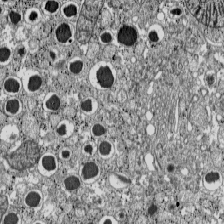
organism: C57BL Mouse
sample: Pancreatic islet